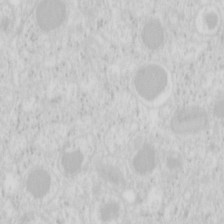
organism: Mouse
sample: Pancreas